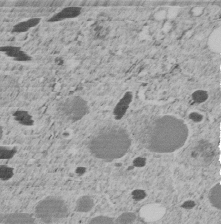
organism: C. elegans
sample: C. elegans embryo early stage